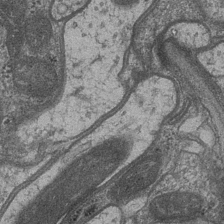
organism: Drosophila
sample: Optic medulla